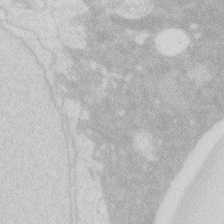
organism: Zebrafish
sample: Macrophage